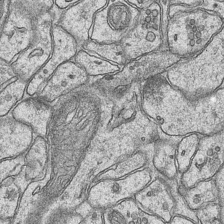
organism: Mouse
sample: CA1 Hippocampus